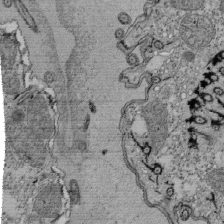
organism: Tetrahymena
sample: Cilia in tetrahymena